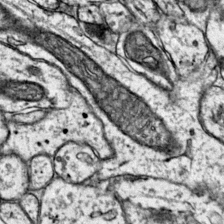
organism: Mouse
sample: Primary visual cortex